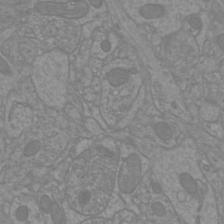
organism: Mouse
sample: Cortical neurons